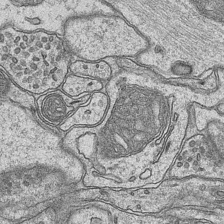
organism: Mouse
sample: CA1 Hippocampus